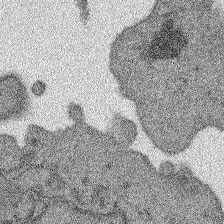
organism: Human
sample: HeLa cells